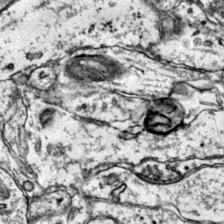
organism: Mouse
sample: Primary visual cortex